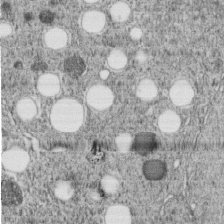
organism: C. elegans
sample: C. elegans embryo early stage